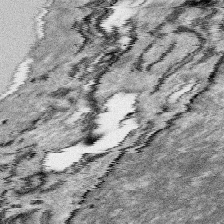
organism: Human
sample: HeLa cells